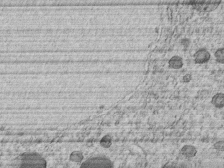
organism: C. elegans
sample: C. elegans embryo early stage